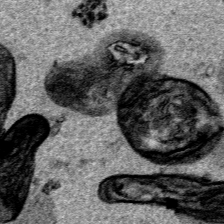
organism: Human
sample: Mitochondria in HCT116 cells